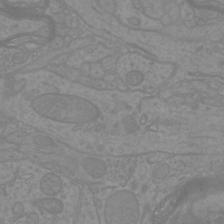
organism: Mouse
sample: Cortical neurons